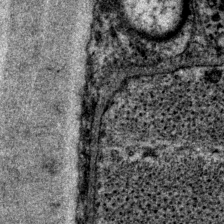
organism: P. pacificus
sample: Pharynx